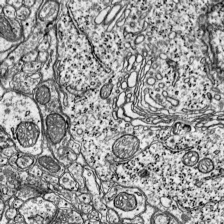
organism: Mouse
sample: Visual Cortex